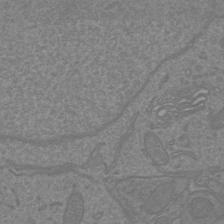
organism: Mouse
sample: Cortical neurons